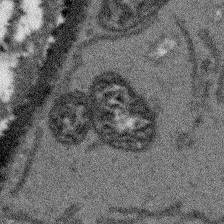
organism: Arabidopsis thaliana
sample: Root tip